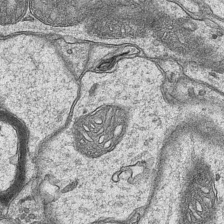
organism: Mouse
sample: CA1 Hippocampus